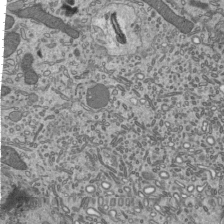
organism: Mouse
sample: Mouse epididymis efferent ductule cilia